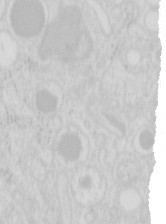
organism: Mouse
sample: Pancreas